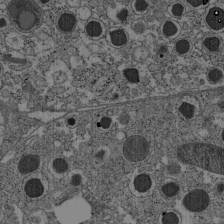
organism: C57BL Mouse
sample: Pancreatic islet